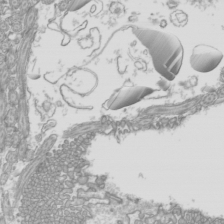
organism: Mouse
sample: Cilia; mouse epididymis